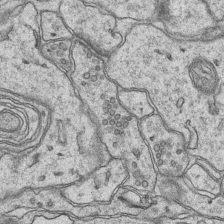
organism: Mouse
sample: CA1 Hippocampus